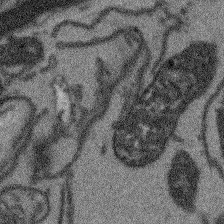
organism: Arabidopsis thaliana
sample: Root tip